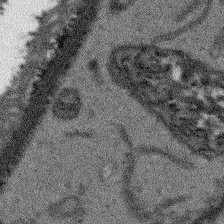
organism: Arabidopsis thaliana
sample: Root tip